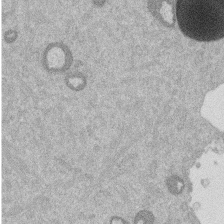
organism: Mouse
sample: Dividing mouse embryo 1 cell stage